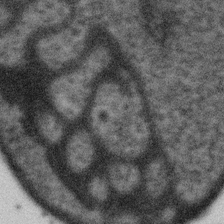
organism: Gemmata obscuriglobus